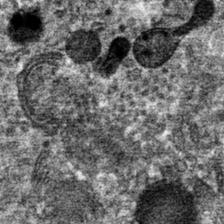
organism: Mouse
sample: Mouse hepatocytes